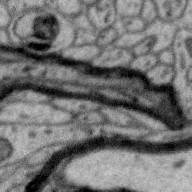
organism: Zebra finch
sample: Brain